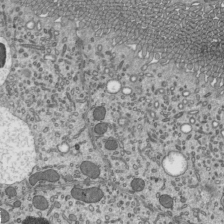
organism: Mouse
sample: Mouse epididymis efferent ductule cilia